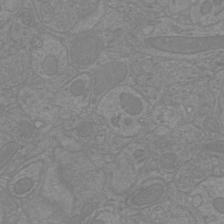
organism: Mouse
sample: Cortical neurons